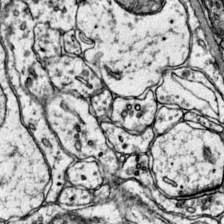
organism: Mouse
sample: Primary visual cortex